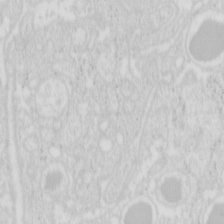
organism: Mouse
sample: Pancreas